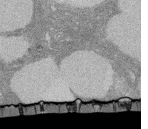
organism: Rat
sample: Salivary granule